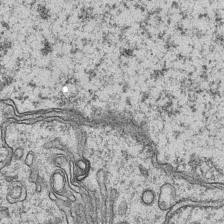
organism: Mouse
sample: CA1 Hippocampus